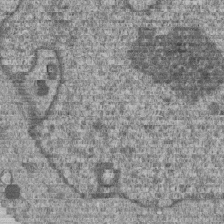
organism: Human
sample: MDA-MB-231 cells